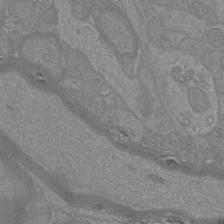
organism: Mouse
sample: Cortical neurons